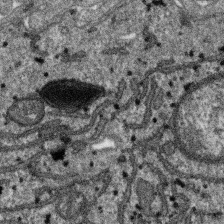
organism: Human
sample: Lung epithelial cells infected with SARS-CoV-2